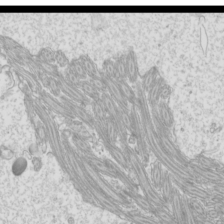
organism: Mouse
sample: Cilia; mouse epididymis